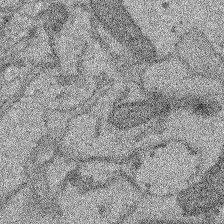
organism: Human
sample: HeLa cells